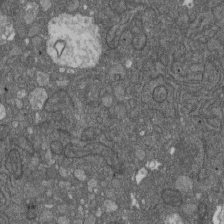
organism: Drosophila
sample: Nephrocyte